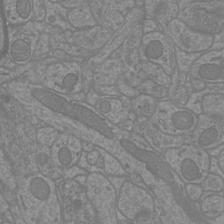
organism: Mouse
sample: Cortical neurons